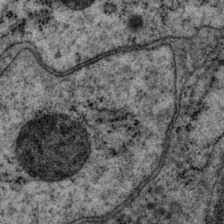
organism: P. pacificus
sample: Pharynx